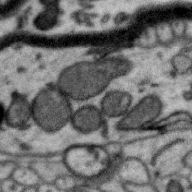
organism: Zebra finch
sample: Brain